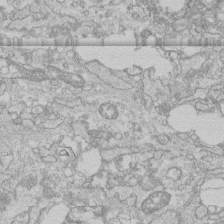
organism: Human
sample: CRL-1474